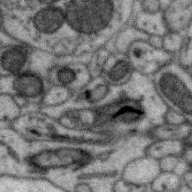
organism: Zebra finch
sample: Brain